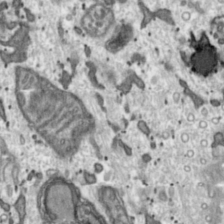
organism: Toxoplasma gondii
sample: Parasites in a vacuole inside a host cell